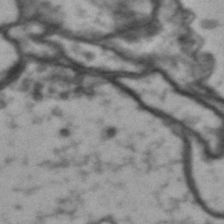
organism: Drosophila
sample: Brain